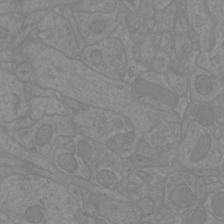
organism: Mouse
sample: Cortical neurons